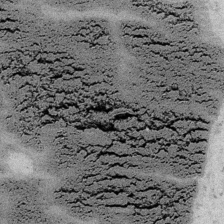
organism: Embia sp.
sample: Silk gland